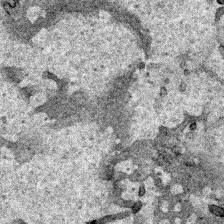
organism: Human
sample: Mitochondria in HCT116 cells